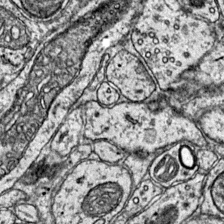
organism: Mouse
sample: Primary visual cortex